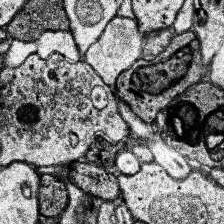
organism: Human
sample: Temporal Lobe